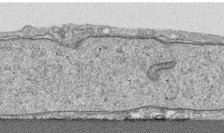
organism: Human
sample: CRL-1474